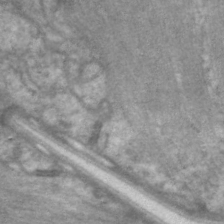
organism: C. elegans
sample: Pharynx